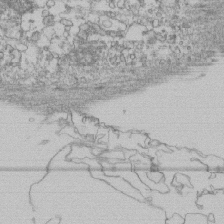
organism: Human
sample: Fibroblast cells